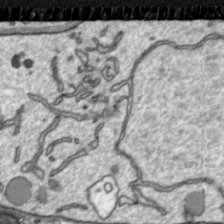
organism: Toxoplasma gondii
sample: Parasites in a vacuole inside a host cell